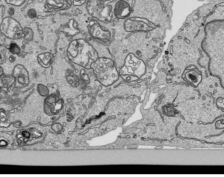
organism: Human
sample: Mitochondria in HCT116 cells